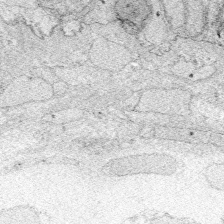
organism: Zebrafish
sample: Whole-Brain